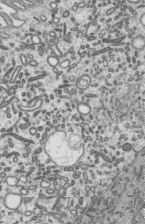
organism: Mouse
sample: Mouse epididymis efferent ductule cilia